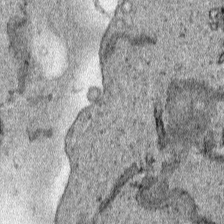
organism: Human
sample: Mitochondria in HCT116 cells